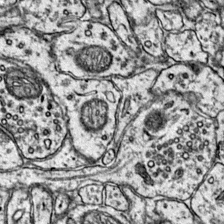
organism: Mouse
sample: Primary visual cortex